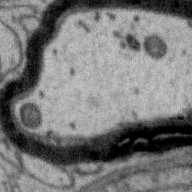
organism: Zebra finch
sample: Brain